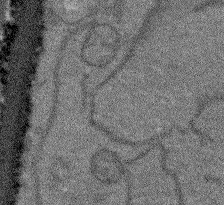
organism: Arabidopsis thaliana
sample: Root tip